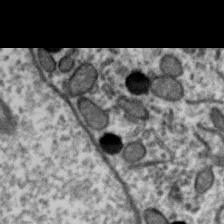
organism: Zebra finch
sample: Brain